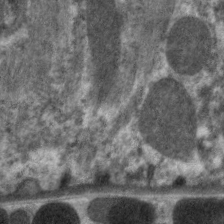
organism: C. elegans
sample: Pharynx